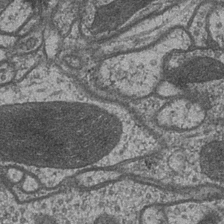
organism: Drosophila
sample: Optic medulla